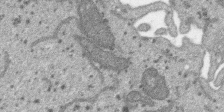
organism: Human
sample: Lung epithelial cells infected with SARS-CoV-2